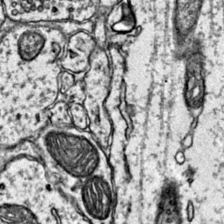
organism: Mouse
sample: Primary visual cortex